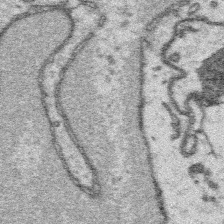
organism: Platynereis dumerilii